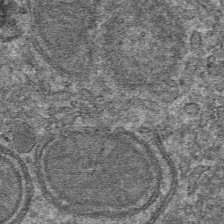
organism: Mouse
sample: Mouse hepatocytes